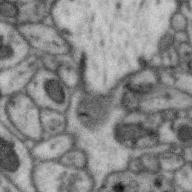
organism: Zebra finch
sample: Brain